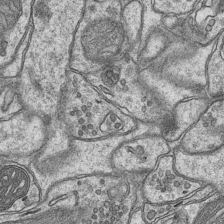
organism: Mouse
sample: CA1 Hippocampus